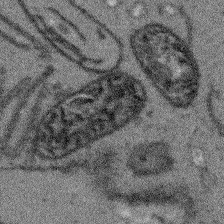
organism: Arabidopsis thaliana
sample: Root tip